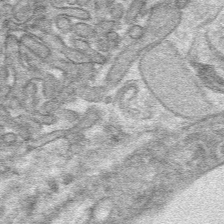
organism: Mouse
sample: Mouse hepatocytes